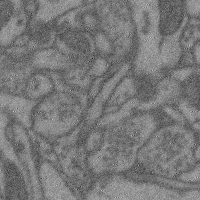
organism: Mouse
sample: Cerebral cortex